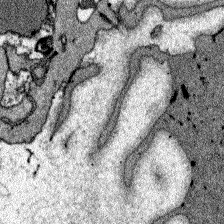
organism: Zebrafish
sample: Larval olfactory bulb